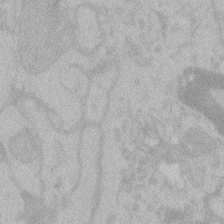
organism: Zebrafish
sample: Macrophage infected with Toxoplasma gondii